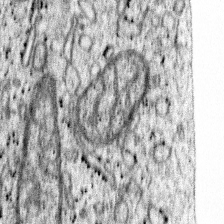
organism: Human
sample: HeLa cells